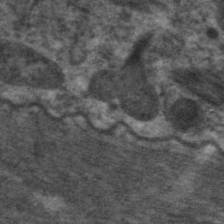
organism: C. elegans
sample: Pharynx